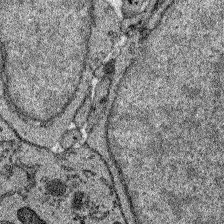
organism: Zebrafish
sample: Larval olfactory bulb